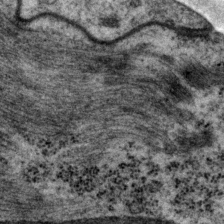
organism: P. pacificus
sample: Pharynx